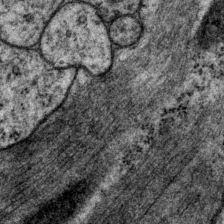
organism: P. pacificus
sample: Pharynx